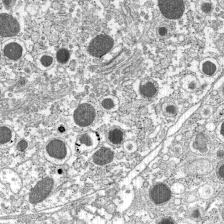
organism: C57BL Mouse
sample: Pancreatic islet